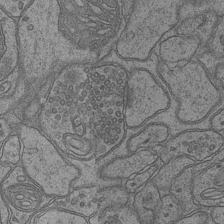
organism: Mouse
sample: CA1 Hippocampus